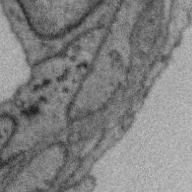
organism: Zebra finch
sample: Brain